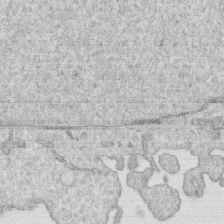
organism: Human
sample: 1205lu cells